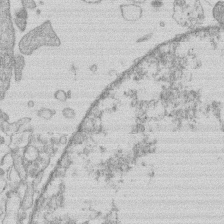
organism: Human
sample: Macrophage cells